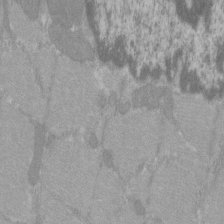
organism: C57BL Mouse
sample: Tibialis anterior muscle cell